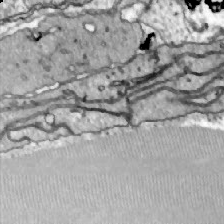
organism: Zebrafish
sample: Actinotrichia fibers